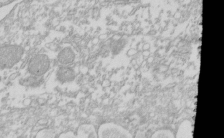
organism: Xenopus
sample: Cilia; centrioles in frog embryo cells